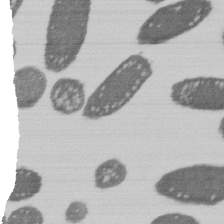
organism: E. coli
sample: Bacterial nucleoid